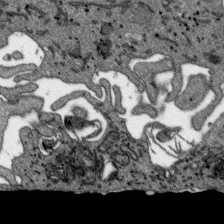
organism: Human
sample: Lung epithelial cells, uninfected (mock) control